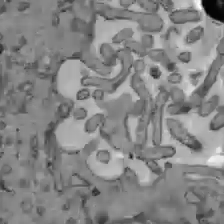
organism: C57BL Mouse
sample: Liver